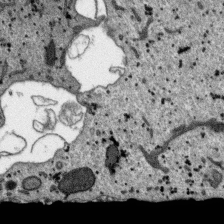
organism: Human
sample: Lung epithelial cells, uninfected (mock) control